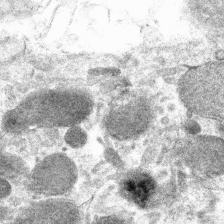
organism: Mouse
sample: Mouse hepatocytes